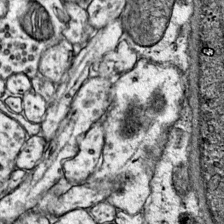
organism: Mouse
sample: Primary visual cortex